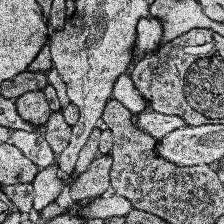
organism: Human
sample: Temporal Lobe